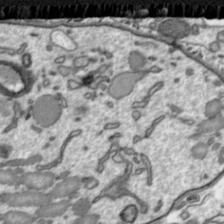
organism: Toxoplasma gondii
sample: Parasites in a vacuole inside a host cell